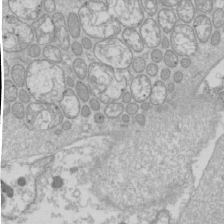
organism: Drosophila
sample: Cell division; meiosis; drosophila spermatocytes